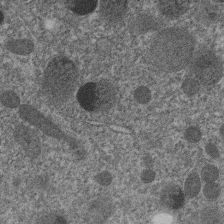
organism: C. elegans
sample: C. elegans embryo early stage